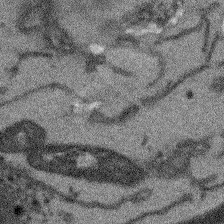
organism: Arabidopsis thaliana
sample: Root tip